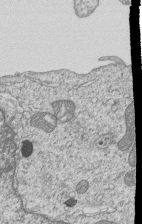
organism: Human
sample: MDA-MB-231 cells